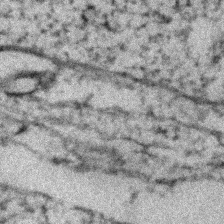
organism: Zebrafish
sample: Zebrafish embryo